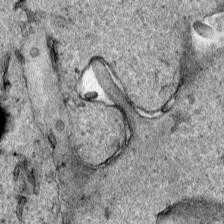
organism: Human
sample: Mitochondria in HCT116 cells